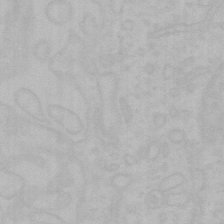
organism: Mouse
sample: Choroid plexus